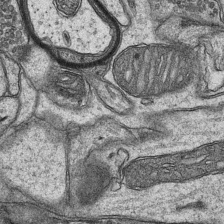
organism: Mouse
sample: CA1 Hippocampus